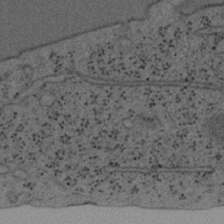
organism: Human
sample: HeLa cells